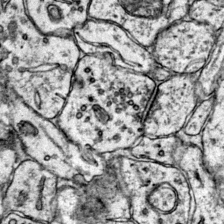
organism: Mouse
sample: Primary visual cortex